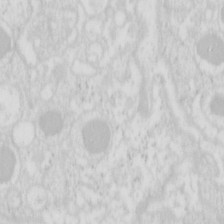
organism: Mouse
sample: Pancreas